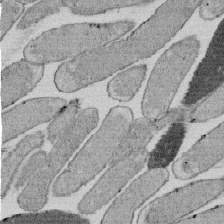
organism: E. coli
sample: Bacterial nucleoid